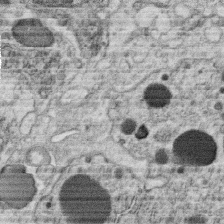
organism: C. elegans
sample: C. elegans oocyte; sperm cells